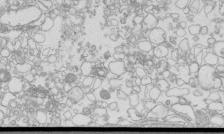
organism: Mouse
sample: Macrophages